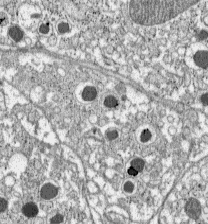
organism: C57BL Mouse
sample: Pancreatic islet